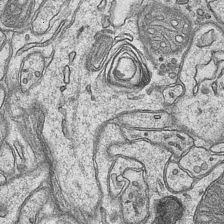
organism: Mouse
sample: CA1 Hippocampus